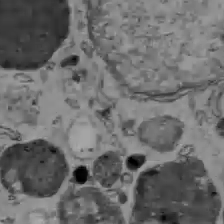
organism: C57BL Mouse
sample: Liver